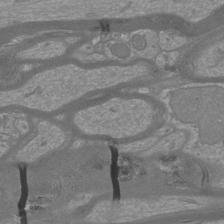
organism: Mouse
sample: Cortical neurons